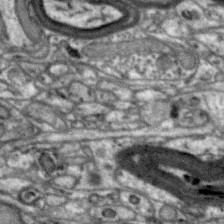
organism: Zebra finch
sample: Brain